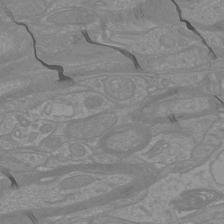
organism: Mouse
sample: Cortical neurons